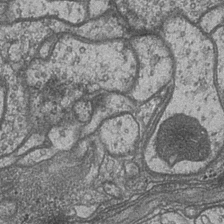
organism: Drosophila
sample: Optic medulla